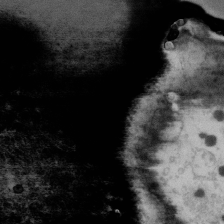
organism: Human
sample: U2-OS cells